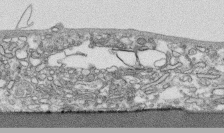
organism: Human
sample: CRL-1474